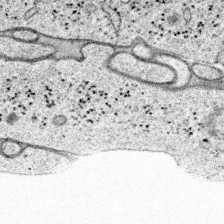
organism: Human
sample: HeLa cells